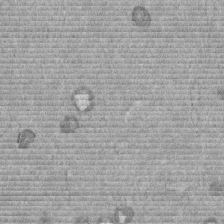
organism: Mouse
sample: Dividing mouse embryo 1 cell stage